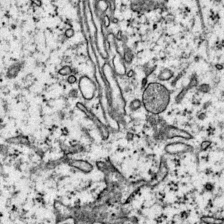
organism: Mouse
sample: Primary visual cortex